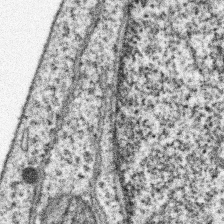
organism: Human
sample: HeLa cells